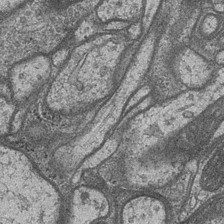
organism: Drosophila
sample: Optic medulla